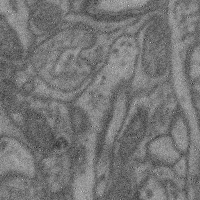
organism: Mouse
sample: Cerebral cortex